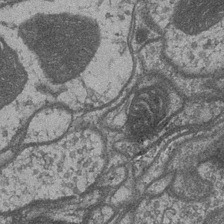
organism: Drosophila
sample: Optic medulla